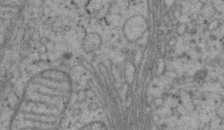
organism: Human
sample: HeLa cells